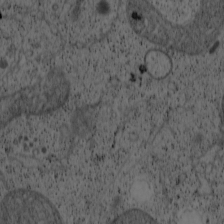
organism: African green monkey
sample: COS-7 cells